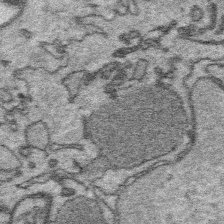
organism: Platynereis dumerilii